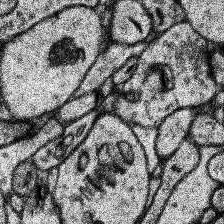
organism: Human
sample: Temporal Lobe